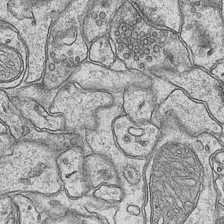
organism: Mouse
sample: CA1 Hippocampus